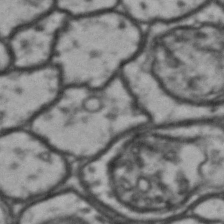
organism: Drosophila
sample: Brain